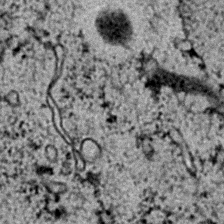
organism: C. elegans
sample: C. elegans embryo